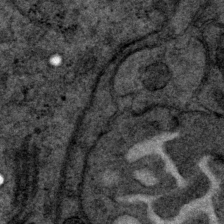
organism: P. pacificus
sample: Pharynx